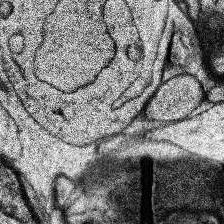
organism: Human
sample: Temporal Lobe